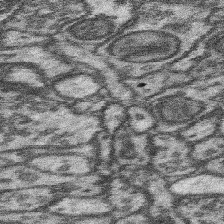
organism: Mouse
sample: Somatosensory cortex neuropil